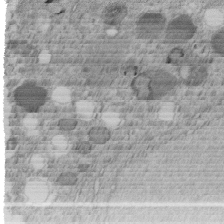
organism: C. elegans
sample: C. elegans embryo early stage